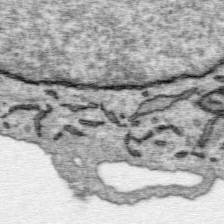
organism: Human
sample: HeLa cells